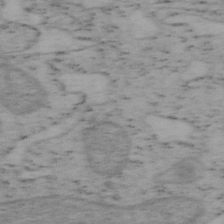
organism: Mouse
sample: OT-I killer T cells with ID8 ovarian cancer cells